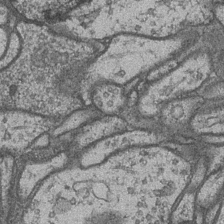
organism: Drosophila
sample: Optic medulla